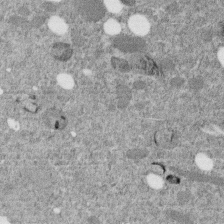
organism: C. elegans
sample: C. elegans embryo early stage